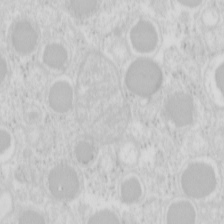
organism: Mouse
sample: Pancreas